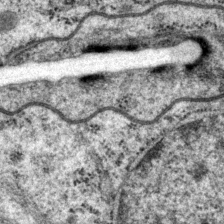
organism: P. pacificus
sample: Pharynx